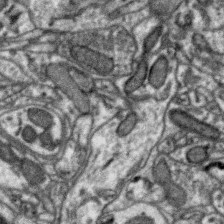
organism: Zebra finch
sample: Brain